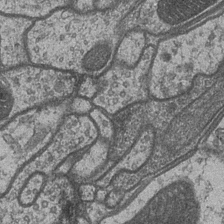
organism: Drosophila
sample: Optic medulla